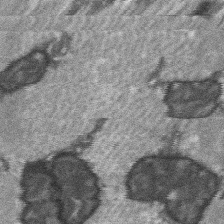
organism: C57BL Mouse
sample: Soleus